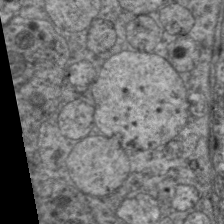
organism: C. elegans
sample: Pharynx